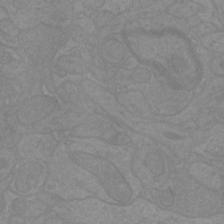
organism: Mouse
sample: Cortical neurons